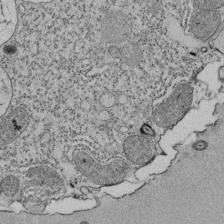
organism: Tetrahymena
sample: Cilia in tetrahymena